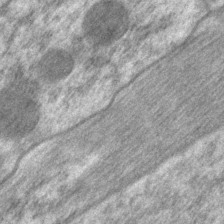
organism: P. pacificus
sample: Pharynx